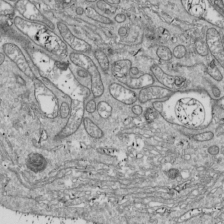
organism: Drosophila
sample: Cell division; meiosis; drosophila spermatocytes